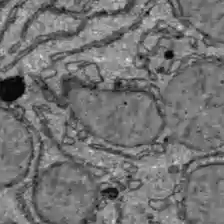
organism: C57BL Mouse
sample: Liver